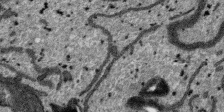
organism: Human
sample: Lung epithelial cells, uninfected (mock) control